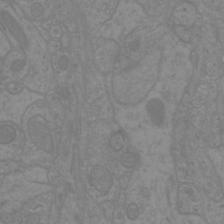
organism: Mouse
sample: Cortical neurons